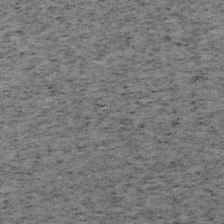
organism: Mouse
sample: OT-I killer T cells with ID8 ovarian cancer cells